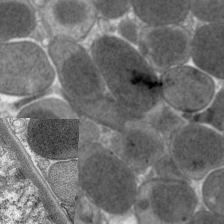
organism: C. elegans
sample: Pharynx